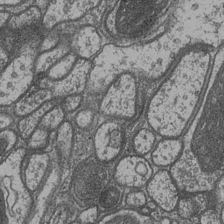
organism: Drosophila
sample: Optic medulla